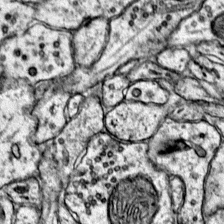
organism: Mouse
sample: Primary visual cortex